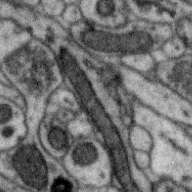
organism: Zebra finch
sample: Brain